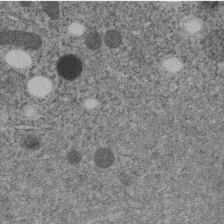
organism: C. elegans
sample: C. elegans embryo early stage